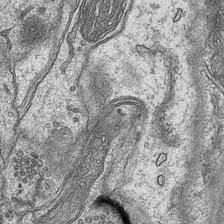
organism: Mouse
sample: CA1 Hippocampus